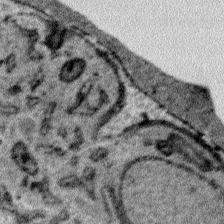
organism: Plasmodium falciparum